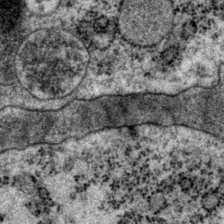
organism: P. pacificus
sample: Pharynx